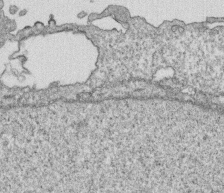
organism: Human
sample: HeLa cell HIV synapse